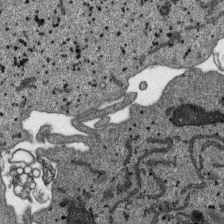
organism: Human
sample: Lung epithelial cells infected with SARS-CoV-2